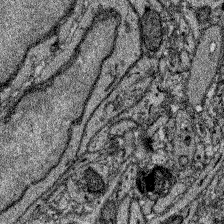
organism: Zebrafish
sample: Larval olfactory bulb